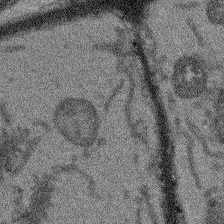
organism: Arabidopsis thaliana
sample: Root tip